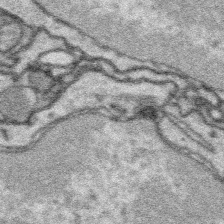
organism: Platynereis dumerilii